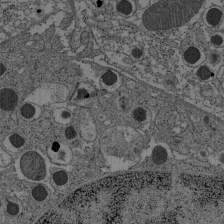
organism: C57BL Mouse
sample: Pancreatic islet